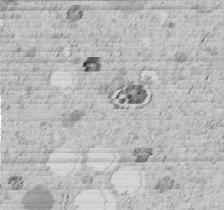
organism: C. elegans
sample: C. elegans embryo early stage